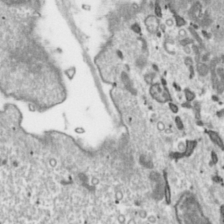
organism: Toxoplasma gondii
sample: Parasites in a vacuole inside a host cell